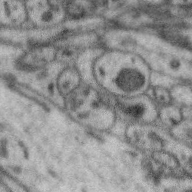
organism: Zebra finch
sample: Brain